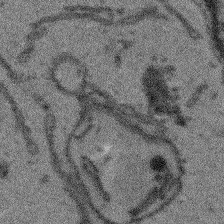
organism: Arabidopsis thaliana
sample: Root tip